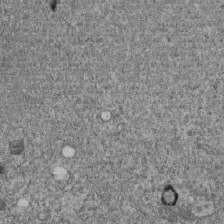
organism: C. elegans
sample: C. elegans embryo early stage